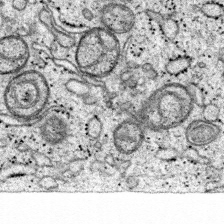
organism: Human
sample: HeLa cells